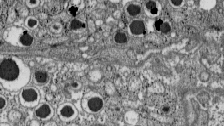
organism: C57BL Mouse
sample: Pancreatic islet